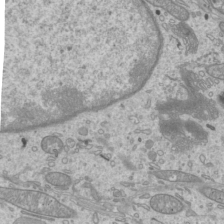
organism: Mouse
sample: Cilia; mouse epididymis